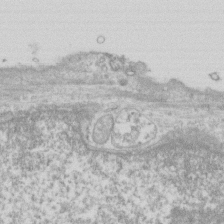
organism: Human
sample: Fibroblast cells